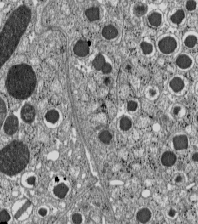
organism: C57BL Mouse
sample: Pancreatic islet